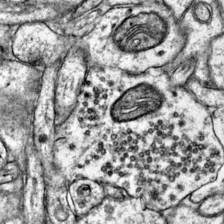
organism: Mouse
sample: Primary visual cortex